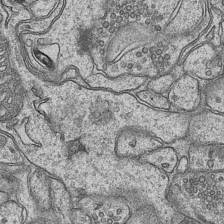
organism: Mouse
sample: CA1 Hippocampus